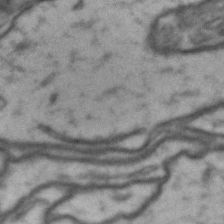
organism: Drosophila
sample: Brain